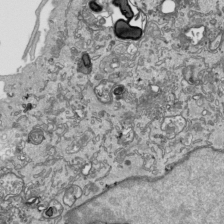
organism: Human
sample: Mitochondria in HCT116 cells